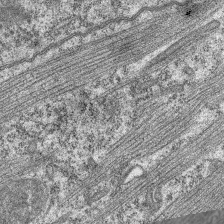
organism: C. elegans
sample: Pharynx